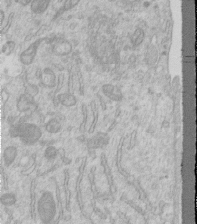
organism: Human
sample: Centriole in RPE cells